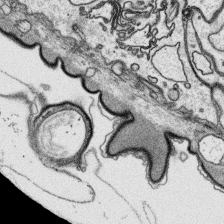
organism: Platynereis dumerilii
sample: Parapodia